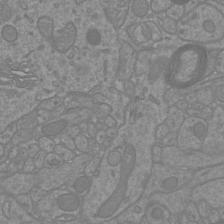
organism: Mouse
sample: Cortical neurons